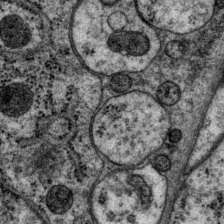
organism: P. pacificus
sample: Pharynx